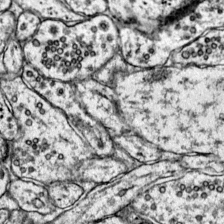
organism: Mouse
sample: Primary visual cortex